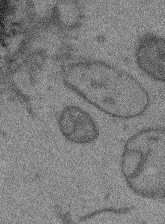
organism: Arabidopsis thaliana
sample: Root tip